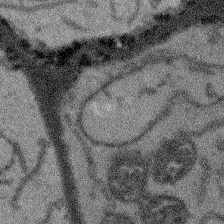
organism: Arabidopsis thaliana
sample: Root tip